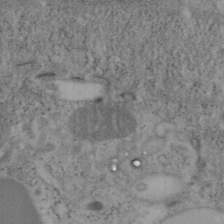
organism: Mouse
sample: OT-I killer T cells with ID8 ovarian cancer cells